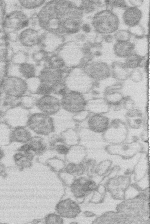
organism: Human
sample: Macrophage cells